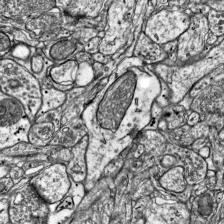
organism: Mouse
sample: Visual Cortex